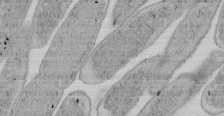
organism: E. coli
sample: Bacterial nucleoid